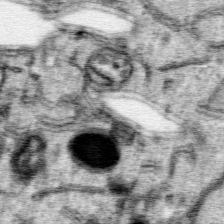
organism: Human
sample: HeLa cells